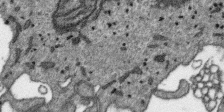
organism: Human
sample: Lung epithelial cells, uninfected (mock) control